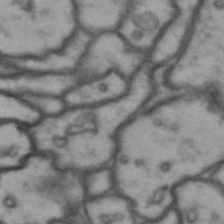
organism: Drosophila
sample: Brain